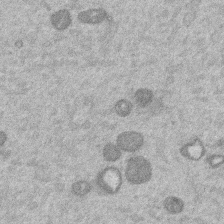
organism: Mouse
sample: Dividing mouse embryo 1 cell stage